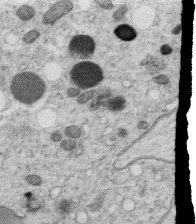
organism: C. elegans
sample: C. elegans oocyte; sperm cells